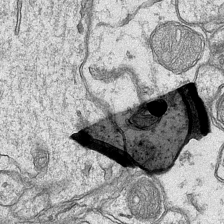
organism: Mouse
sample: CA1 Hippocampus